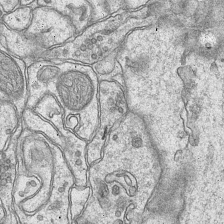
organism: Mouse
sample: CA1 Hippocampus